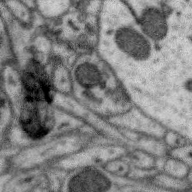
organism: Zebra finch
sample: Brain